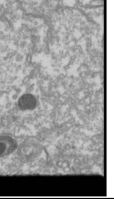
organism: Drosophila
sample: Cell division; meiosis; drosophila spermatocytes